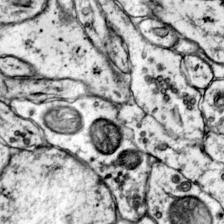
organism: Mouse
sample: Primary visual cortex